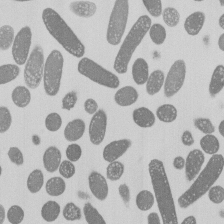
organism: E. coli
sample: Bacterial nucleoid